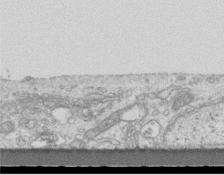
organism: Mouse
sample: Centriole in ependymal cells